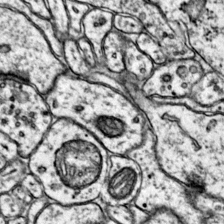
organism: Mouse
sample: Primary visual cortex